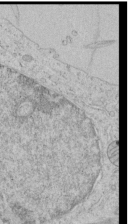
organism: Human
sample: Mitochondria in HCT116 cells